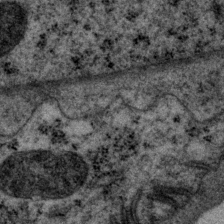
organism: P. pacificus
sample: Pharynx